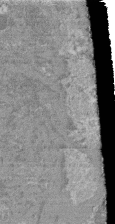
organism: Mouse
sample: Glomerulus